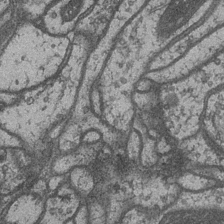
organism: Drosophila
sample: Optic medulla